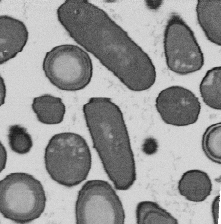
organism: B. subtilis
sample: Bacterial spore